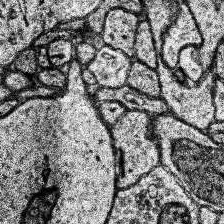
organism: Human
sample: Temporal Lobe